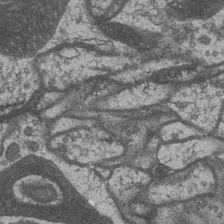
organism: Drosophila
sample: Optic medulla